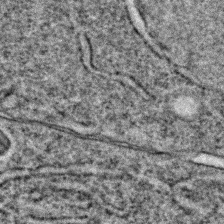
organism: C. elegans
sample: C. elegans embryo